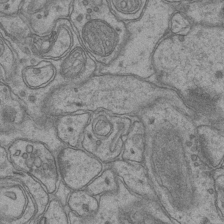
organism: Mouse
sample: CA1 Hippocampus